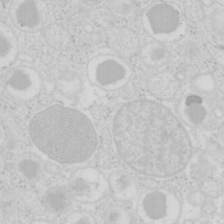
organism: Mouse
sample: Pancreas